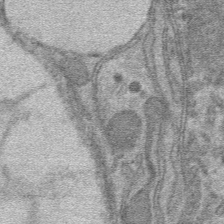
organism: Mouse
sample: Mouse hepatocytes